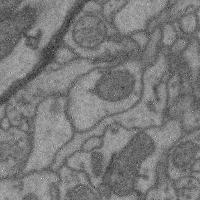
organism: Mouse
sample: Cerebral cortex